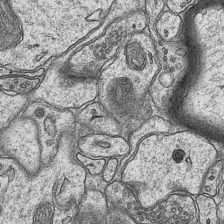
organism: Mouse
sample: CA1 Hippocampus